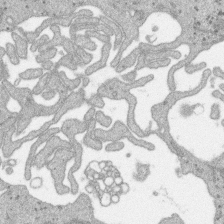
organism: Human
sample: Lung epithelial cells infected with SARS-CoV-2